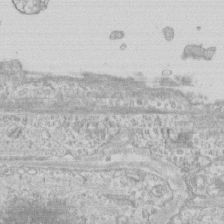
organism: Human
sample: CRL-1474